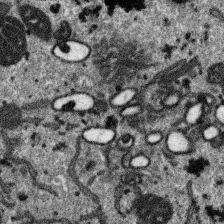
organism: Human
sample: Lung epithelial cells infected with SARS-CoV-2